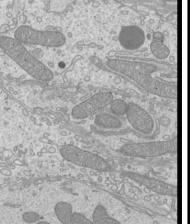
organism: Mouse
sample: Cilia; mouse epididymis